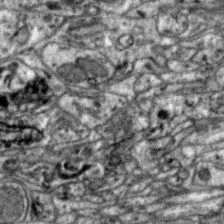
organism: Zebra finch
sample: Brain